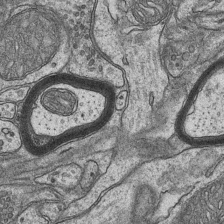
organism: Mouse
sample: CA1 Hippocampus